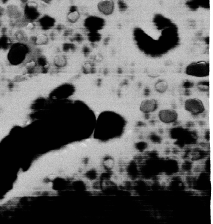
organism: Human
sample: HIV infected U937 cells